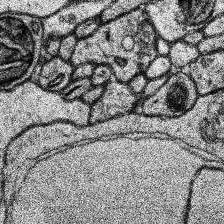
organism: Human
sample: Temporal Lobe